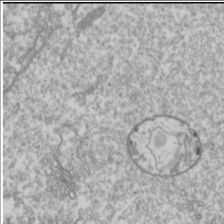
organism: Drosophila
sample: Cell division; meiosis; drosophila spermatocytes